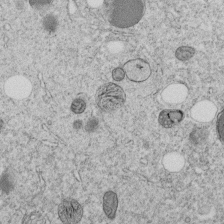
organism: C. elegans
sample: C. elegans embryo early stage